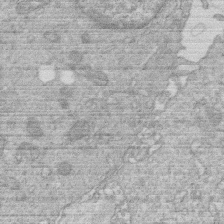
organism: Human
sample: Macrophage cells